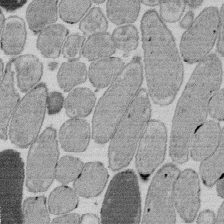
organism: E. coli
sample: Bacterial nucleoid